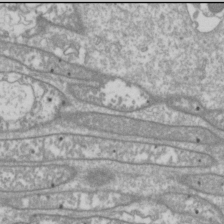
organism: Drosophila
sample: Cell division; meiosis; drosophila spermatocytes